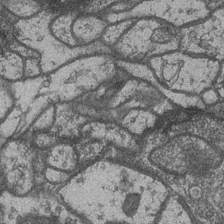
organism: Drosophila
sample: Optic medulla